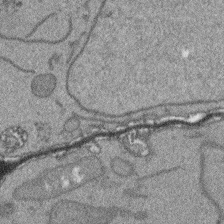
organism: Arabidopsis thaliana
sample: Root tip